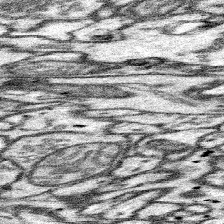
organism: Mouse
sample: Somatosensory cortex neuropil